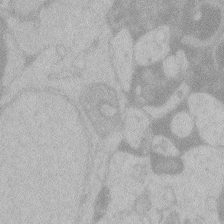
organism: Zebrafish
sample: Macrophage infected with Toxoplasma gondii